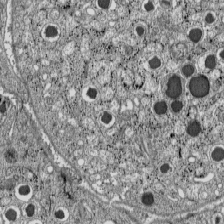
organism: C57BL Mouse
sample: Pancreatic islet